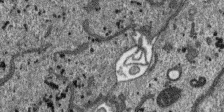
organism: Human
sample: Lung epithelial cells infected with SARS-CoV-2